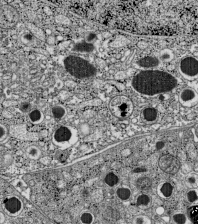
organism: C57BL Mouse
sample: Pancreatic islet